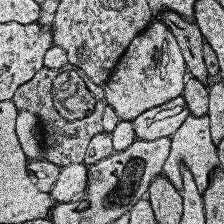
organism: Human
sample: Temporal Lobe